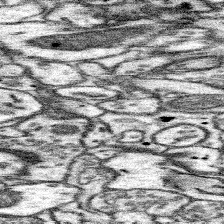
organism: Mouse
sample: Somatosensory cortex neuropil